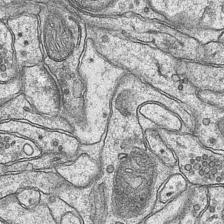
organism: Mouse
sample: CA1 Hippocampus